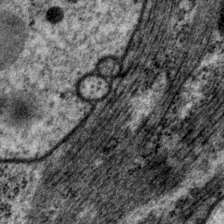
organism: P. pacificus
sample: Pharynx